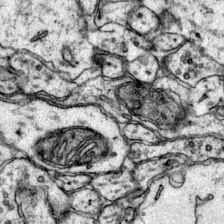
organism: Mouse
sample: Primary visual cortex